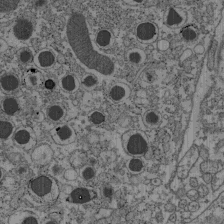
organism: C57BL Mouse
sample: Pancreatic islet